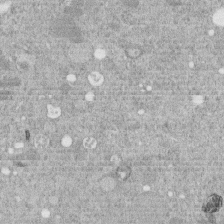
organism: C. elegans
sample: C. elegans embryo early stage